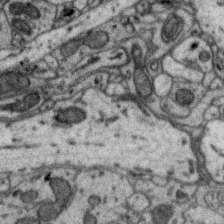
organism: Zebra finch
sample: Brain